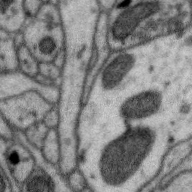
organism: Zebra finch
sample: Brain